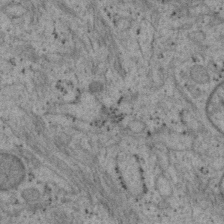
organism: Human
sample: HeLa cells